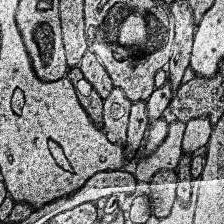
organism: Human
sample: Temporal Lobe